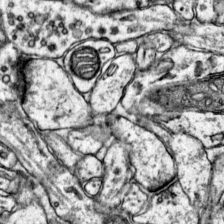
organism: Mouse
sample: Primary visual cortex